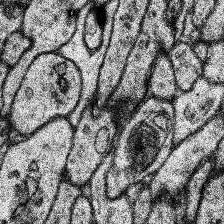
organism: Human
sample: Temporal Lobe